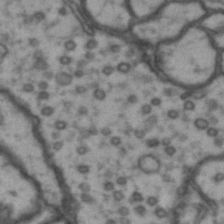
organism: Drosophila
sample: Brain